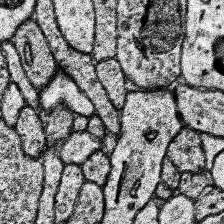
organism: Human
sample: Temporal Lobe